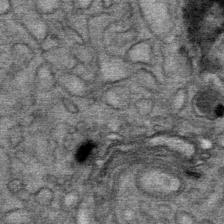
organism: Mouse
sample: Mouse Salivary gland